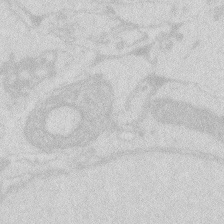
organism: Zebrafish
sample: Macrophage